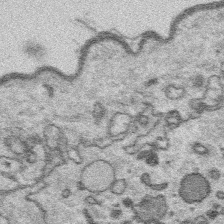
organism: Platynereis dumerilii